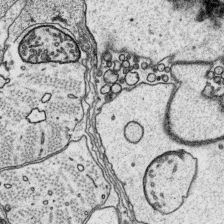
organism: Platynereis dumerilii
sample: Parapodia